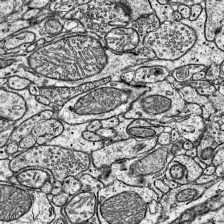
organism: Mouse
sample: Visual Cortex